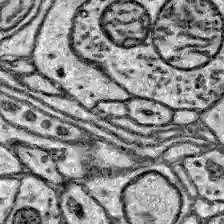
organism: Zebrafish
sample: Brain